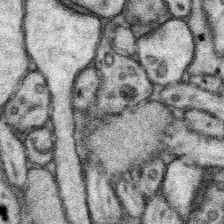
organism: Mouse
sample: Somatosensory cortex neuropil